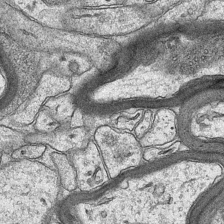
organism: Mouse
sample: CA1 Hippocampus